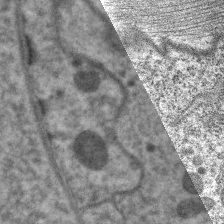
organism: C. elegans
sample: Pharynx